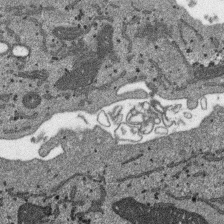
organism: Human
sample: Lung epithelial cells infected with SARS-CoV-2